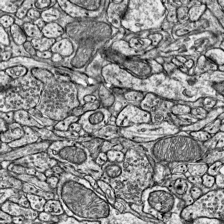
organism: Mouse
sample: Visual Cortex